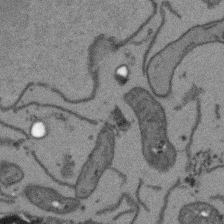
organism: Arabidopsis thaliana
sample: Root tip